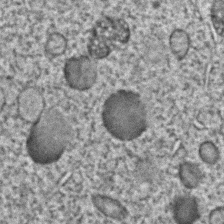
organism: C. elegans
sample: C. elegans embryo